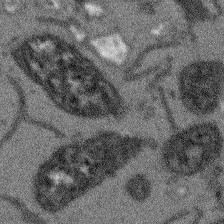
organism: Arabidopsis thaliana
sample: Root tip